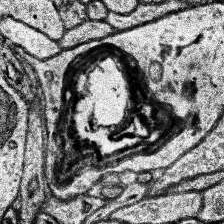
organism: Human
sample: Temporal Lobe